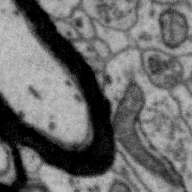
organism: Zebra finch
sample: Brain